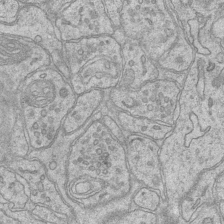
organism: Mouse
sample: CA1 Hippocampus